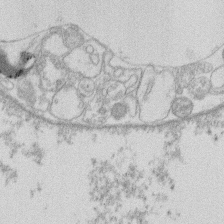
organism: Human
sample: Macrophage cells